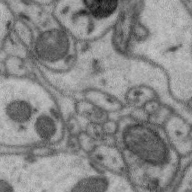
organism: Zebra finch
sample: Brain